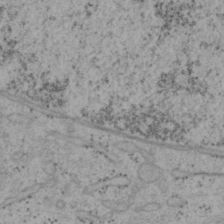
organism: Human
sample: HeLa cells